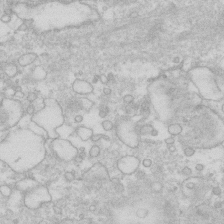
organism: Human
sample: Fibroblast cells